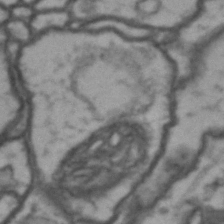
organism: Drosophila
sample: Brain